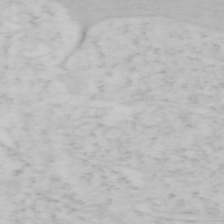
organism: Mouse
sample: OT-I killer T cells with ID8 ovarian cancer cells